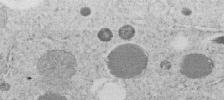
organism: C. elegans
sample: C. elegans embryo early stage